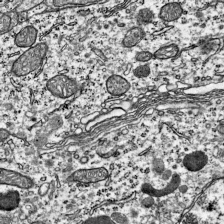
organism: Mouse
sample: Visual Cortex